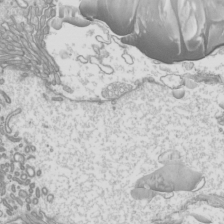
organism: Mouse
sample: Cilia; mouse epididymis